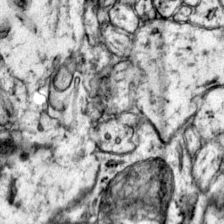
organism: Mouse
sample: Primary visual cortex